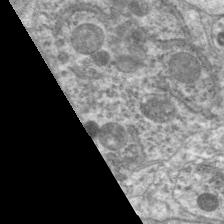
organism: C. elegans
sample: Pharynx